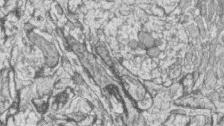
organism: Zebrafish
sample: synaptic ribbons in rod cells and cone cells